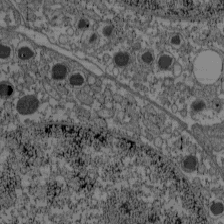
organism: C57BL Mouse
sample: Pancreatic islet